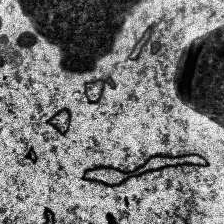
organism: Human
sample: Temporal Lobe